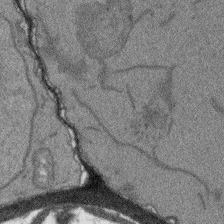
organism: Arabidopsis thaliana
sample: Root tip